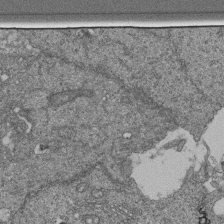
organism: Human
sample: Retinal organoid Rod and Cone cells